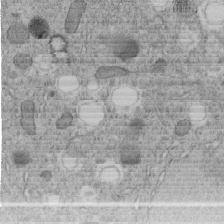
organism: C. elegans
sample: C. elegans embryo early stage